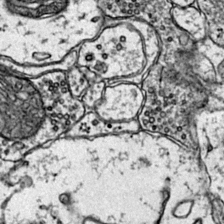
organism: Mouse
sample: Primary visual cortex